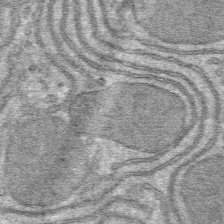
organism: Mouse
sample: Mouse hepatocytes